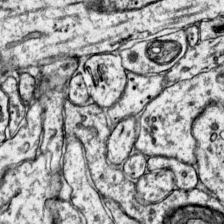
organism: Mouse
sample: Primary visual cortex